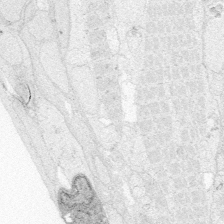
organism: Zebrafish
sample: Whole-Brain